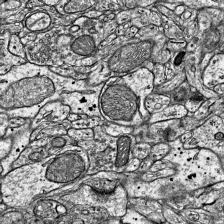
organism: Mouse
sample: Visual Cortex